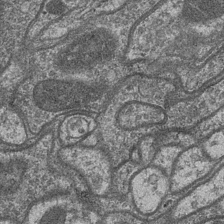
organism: Drosophila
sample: Optic medulla